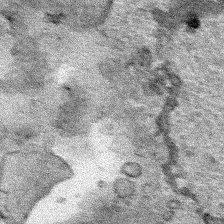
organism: Human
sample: Mitochondria in HCT116 cells